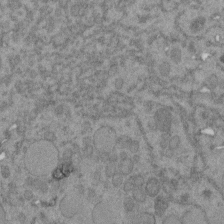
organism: C. elegans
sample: C. elegans embryo early stage